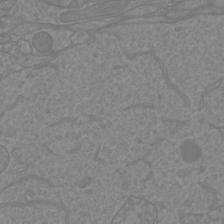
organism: Mouse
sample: Cortical neurons